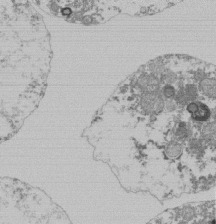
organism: Mouse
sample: Activated Pmel transgenic CD8+ T Cells